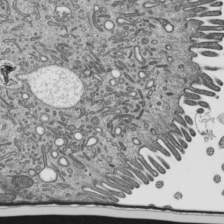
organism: Mouse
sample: Mouse epididymis efferent ductule cilia